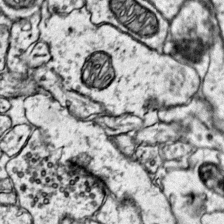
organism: Mouse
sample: Primary visual cortex